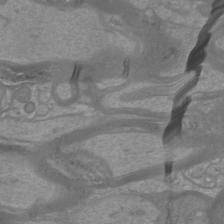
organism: Mouse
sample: Cortical neurons